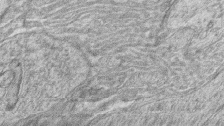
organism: Zebrafish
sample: synaptic ribbons in rod cells and cone cells